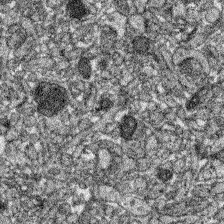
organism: Zebrafish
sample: Larval olfactory bulb